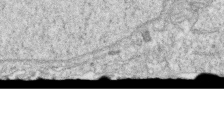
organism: Human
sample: HeLa cell HIV synapse